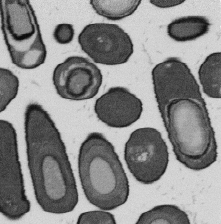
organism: B. subtilis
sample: Bacterial spore